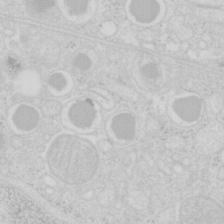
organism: Mouse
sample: Pancreas